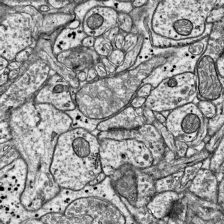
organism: Mouse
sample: Visual Cortex